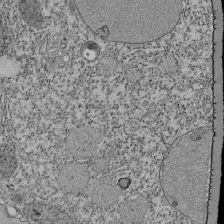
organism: Tetrahymena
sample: Cilia in tetrahymena